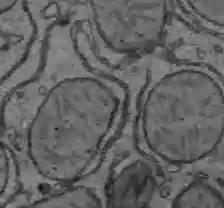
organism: C57BL Mouse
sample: Liver